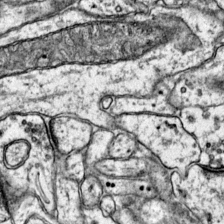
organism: Mouse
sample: Primary visual cortex